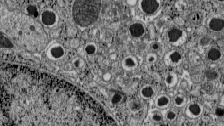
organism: C57BL Mouse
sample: Pancreatic islet